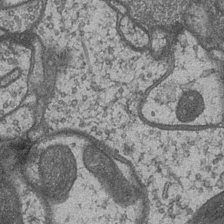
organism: Drosophila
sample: Optic medulla